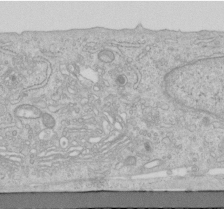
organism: Human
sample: Centriole in RPE cells